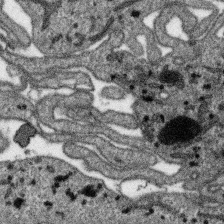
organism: Human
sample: Lung epithelial cells infected with SARS-CoV-2